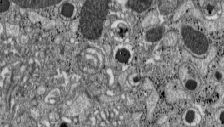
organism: C57BL Mouse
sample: Pancreatic islet